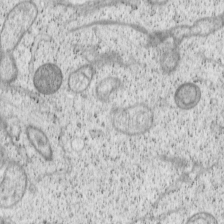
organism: African green monkey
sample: COS-7 cells